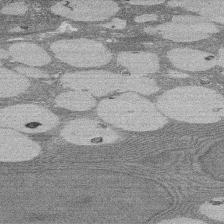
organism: Rat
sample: Salivary granule